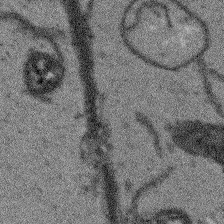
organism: Arabidopsis thaliana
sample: Root tip